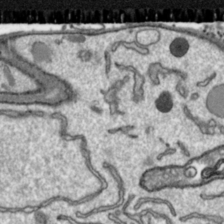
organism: Toxoplasma gondii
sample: Parasites in a vacuole inside a host cell